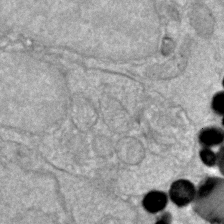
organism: Zebrafish